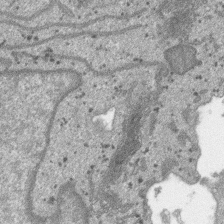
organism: Human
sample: Lung epithelial cells infected with SARS-CoV-2